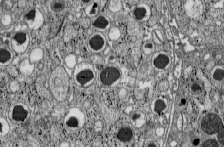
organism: C57BL Mouse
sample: Pancreatic islet